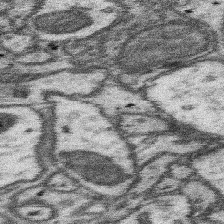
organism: Mouse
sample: Somatosensory cortex neuropil